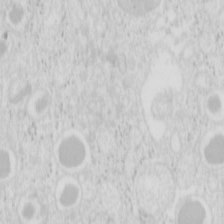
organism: Mouse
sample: Pancreas